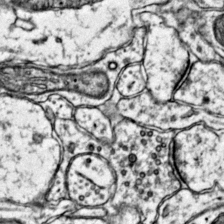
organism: Mouse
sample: Primary visual cortex